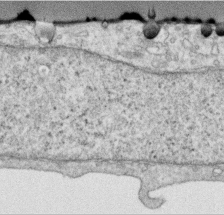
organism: Human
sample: Centriole in RPE cells